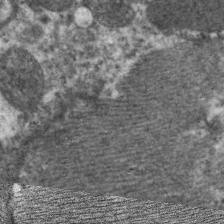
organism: C. elegans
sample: Pharynx